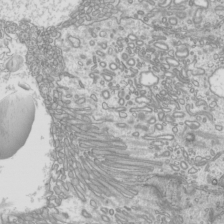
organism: Mouse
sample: Cilia; mouse epididymis